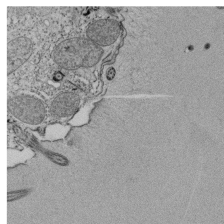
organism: Tetrahymena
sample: Cilia in tetrahymena